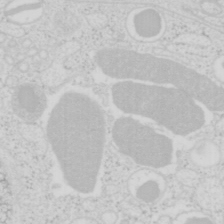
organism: Mouse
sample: Pancreas